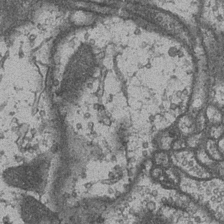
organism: Drosophila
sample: Optic medulla